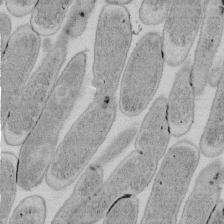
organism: E. coli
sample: Bacterial nucleoid